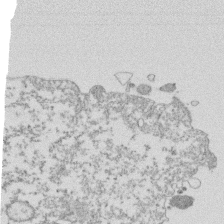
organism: Human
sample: HeLa cell HIV synapse